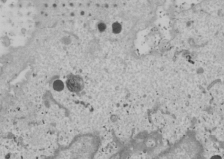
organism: Human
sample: Mitochondria in U2OS cells